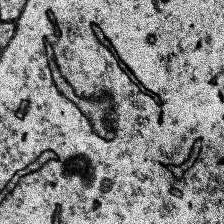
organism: Human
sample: Temporal Lobe